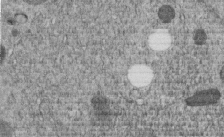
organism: C. elegans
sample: C. elegans embryo early stage